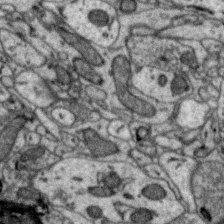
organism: Zebra finch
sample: Brain